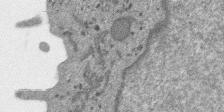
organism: Human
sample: Lung epithelial cells infected with SARS-CoV-2